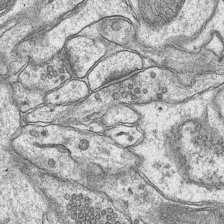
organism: Mouse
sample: CA1 Hippocampus